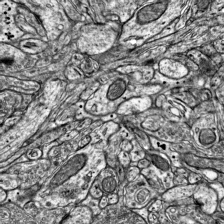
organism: Mouse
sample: Visual Cortex